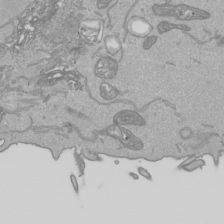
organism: Human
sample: Mitochondria in HCT116 cells